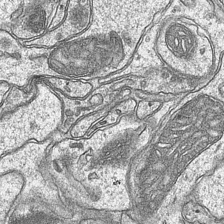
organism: Mouse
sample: CA1 Hippocampus